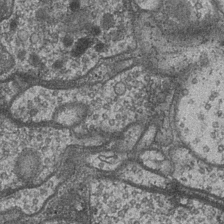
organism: Drosophila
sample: Optic medulla